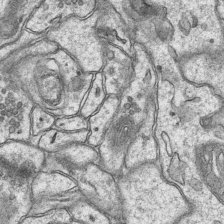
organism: Mouse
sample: CA1 Hippocampus